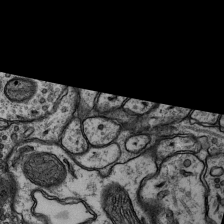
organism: Rat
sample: Hippocampus